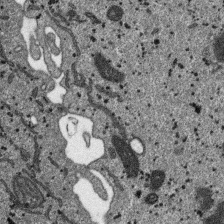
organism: Human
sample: Lung epithelial cells infected with SARS-CoV-2